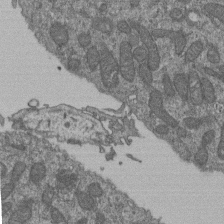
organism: Human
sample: Retinal organoid Rod and Cone cells